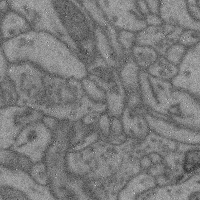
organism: Mouse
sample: Cerebral cortex